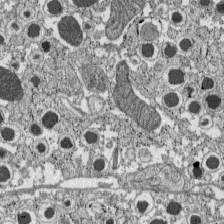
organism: C57BL Mouse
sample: Pancreatic islet